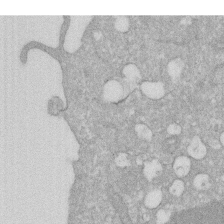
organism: Human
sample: HIV infected U937 cells